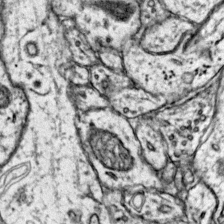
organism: Mouse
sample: Primary visual cortex